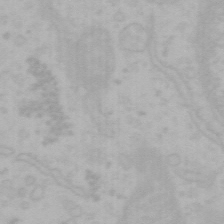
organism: Mouse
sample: Choroid plexus